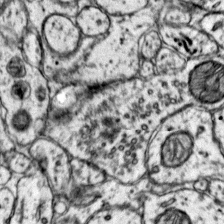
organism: Mouse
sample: Primary visual cortex